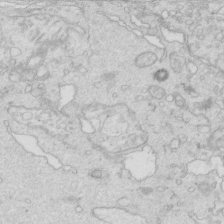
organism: Mouse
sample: Multiciliated cells